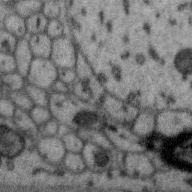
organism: Zebra finch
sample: Brain